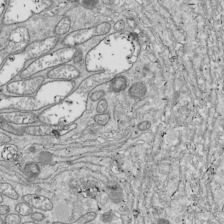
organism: Drosophila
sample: Cell division; meiosis; drosophila spermatocytes